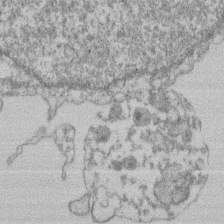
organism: Mouse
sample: T cell stromal cell synapse